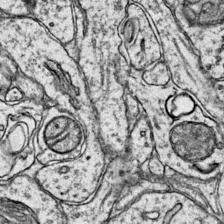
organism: Mouse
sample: Primary visual cortex